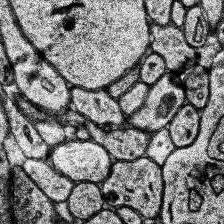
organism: Human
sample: Temporal Lobe